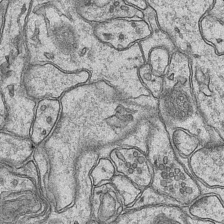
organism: Mouse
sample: CA1 Hippocampus